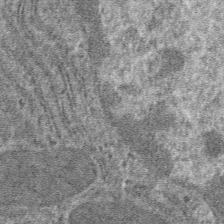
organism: Mouse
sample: Mouse hepatocytes